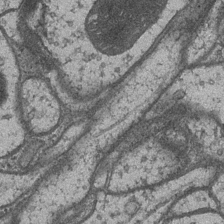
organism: Drosophila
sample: Optic medulla